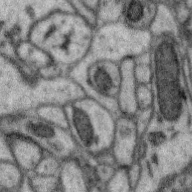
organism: Zebra finch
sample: Brain